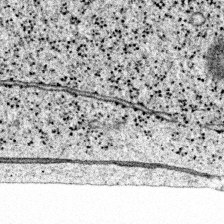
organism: Human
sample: HeLa cells